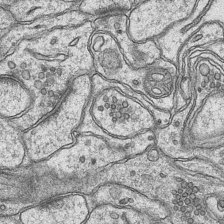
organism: Mouse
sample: CA1 Hippocampus